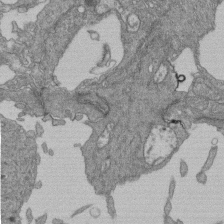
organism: Human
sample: Retinal organoid Rod and Cone cells